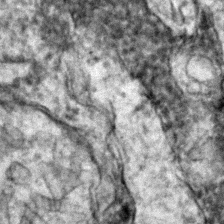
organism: Zebrafish